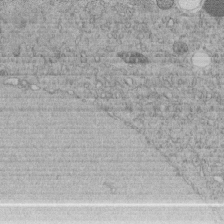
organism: C. elegans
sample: C. elegans embryo early stage